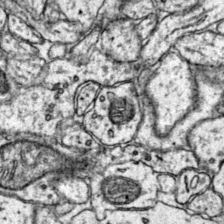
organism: Mouse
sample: Primary visual cortex